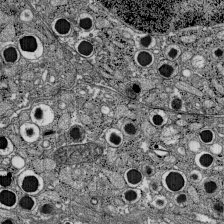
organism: C57BL Mouse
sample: Pancreatic islet